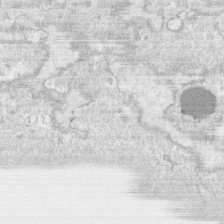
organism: Human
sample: CRL-1474